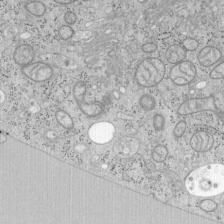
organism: Mouse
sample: OT-I killer T cells with ID8 ovarian cancer cells